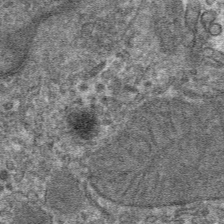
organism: Mouse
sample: Mouse hepatocytes